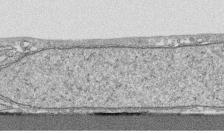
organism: Human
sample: CRL-1474